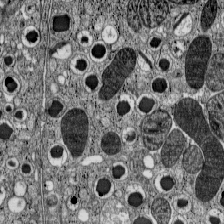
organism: C57BL Mouse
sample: Pancreatic islet